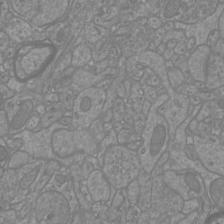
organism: Mouse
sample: Cortical neurons